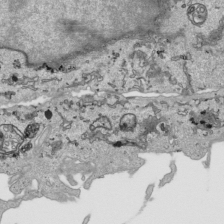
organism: Human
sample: Mitochondria in HCT116 cells